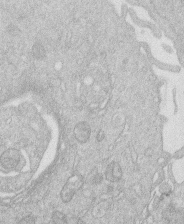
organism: Human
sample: Macrophage cells